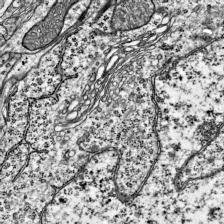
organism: Mouse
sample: Visual Cortex